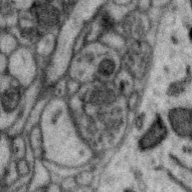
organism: Zebra finch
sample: Brain